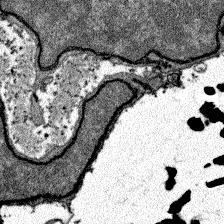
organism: Zebrafish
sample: Larval olfactory bulb